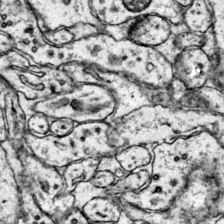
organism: Mouse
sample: Primary visual cortex